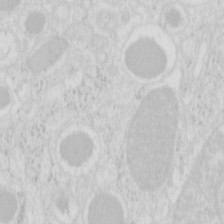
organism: Mouse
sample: Pancreas